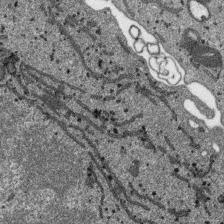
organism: Human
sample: Lung epithelial cells infected with SARS-CoV-2